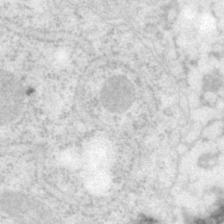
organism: P. pacificus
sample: Pharynx